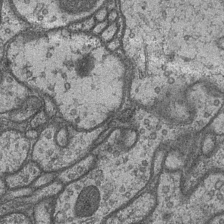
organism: Drosophila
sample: Optic medulla